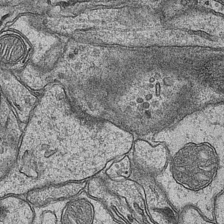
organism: Mouse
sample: CA1 Hippocampus